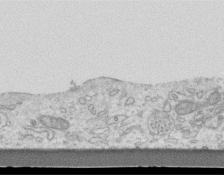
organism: Mouse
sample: Centriole in ependymal cells